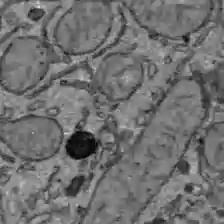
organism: C57BL Mouse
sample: Liver